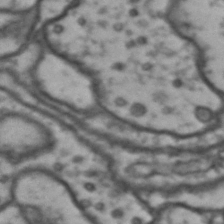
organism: Drosophila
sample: Brain